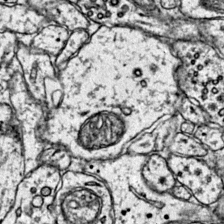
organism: Mouse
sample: Primary visual cortex